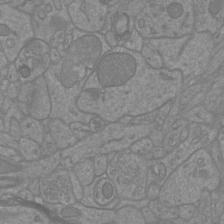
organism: Mouse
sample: Cortical neurons